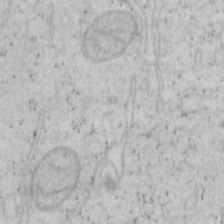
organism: Human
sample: HeLa cells